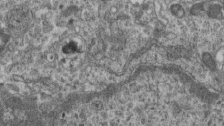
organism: Mouse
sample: Centriole in ependymal cells